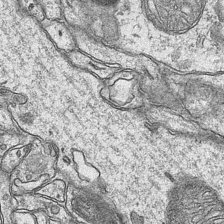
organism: Mouse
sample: CA1 Hippocampus